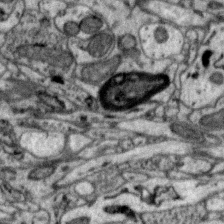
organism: Zebra finch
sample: Brain